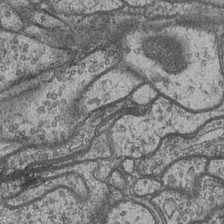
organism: Drosophila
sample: Optic medulla